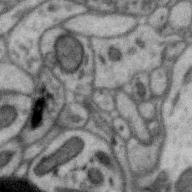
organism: Zebra finch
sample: Brain